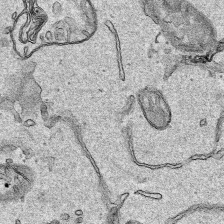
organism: Human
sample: Mitochondria in HCT116 cells